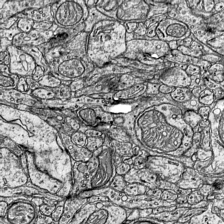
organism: Mouse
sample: Visual Cortex